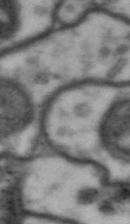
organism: Drosophila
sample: Brain